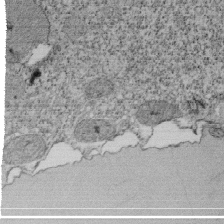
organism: Tetrahymena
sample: Cilia in tetrahymena